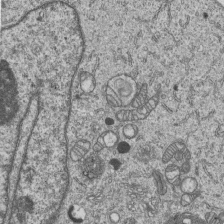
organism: Human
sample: MDA-MB-231 cells